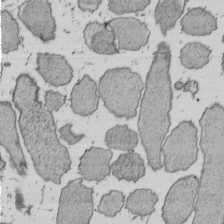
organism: E. coli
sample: Bacterial nucleoid